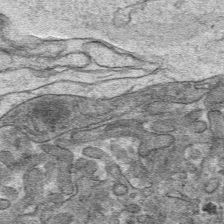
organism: Mouse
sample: Mouse hepatocytes